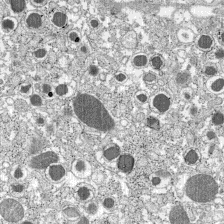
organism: C57BL Mouse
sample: Pancreatic islet